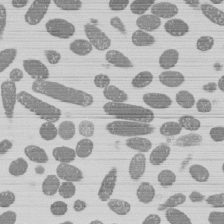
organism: E. coli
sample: Bacterial nucleoid